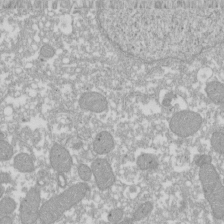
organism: Xenopus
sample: Cilia; centrioles in frog embryo cells